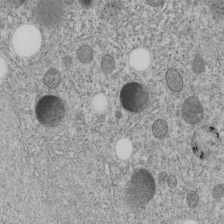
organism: C. elegans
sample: C. elegans embryo early stage